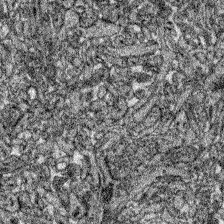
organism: Zebrafish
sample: Larval olfactory bulb